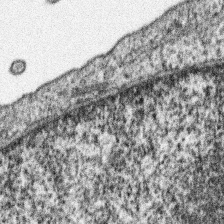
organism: Human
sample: HeLa cells